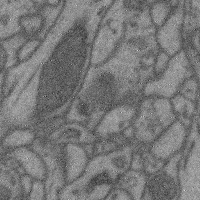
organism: Mouse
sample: Cerebral cortex